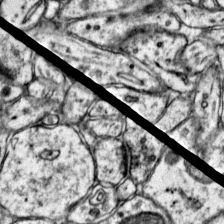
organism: Mouse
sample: Primary visual cortex